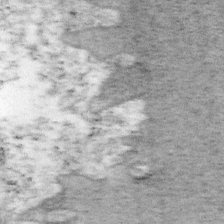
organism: Mouse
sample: OT-I killer T cells with ID8 ovarian cancer cells